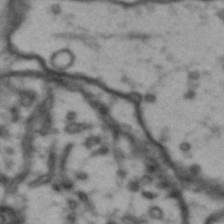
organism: Drosophila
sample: Brain